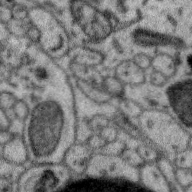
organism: Zebra finch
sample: Brain